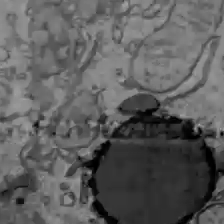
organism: C57BL Mouse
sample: Liver